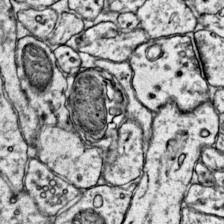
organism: Mouse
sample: Primary visual cortex